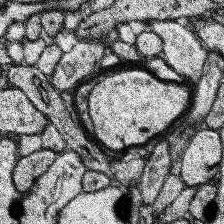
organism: Human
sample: Temporal Lobe